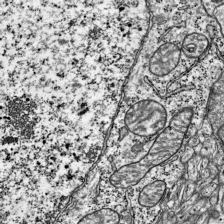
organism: Mouse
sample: Visual Cortex